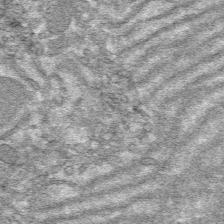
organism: Mouse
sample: Mouse hepatocytes